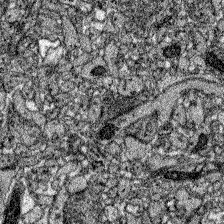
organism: Zebrafish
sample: Larval olfactory bulb